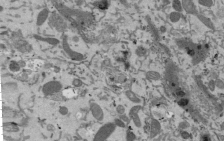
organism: Mouse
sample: ED-1 cell nuclei; centrioles